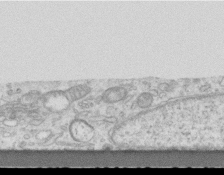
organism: Mouse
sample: Centriole in ependymal cells